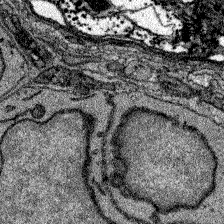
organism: Zebrafish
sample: Larval olfactory bulb